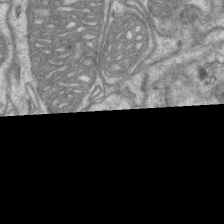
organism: Mouse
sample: CA1 Hippocampus